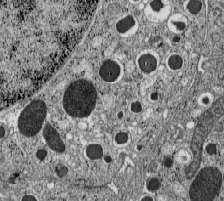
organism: C57BL Mouse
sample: Pancreatic islet